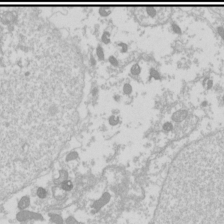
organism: Drosophila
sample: Cell division; meiosis; drosophila spermatocytes